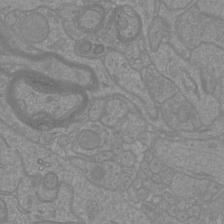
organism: Mouse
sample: Cortical neurons